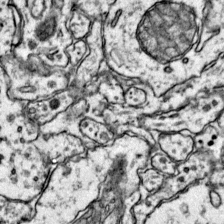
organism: Mouse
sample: Primary visual cortex